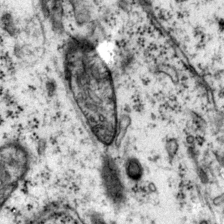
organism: Mouse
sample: Primary visual cortex